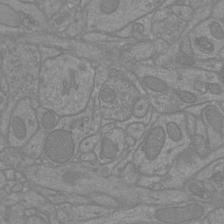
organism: Mouse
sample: Cortical neurons